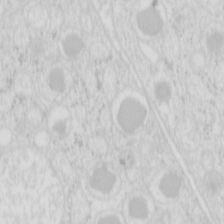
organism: Mouse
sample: Pancreas